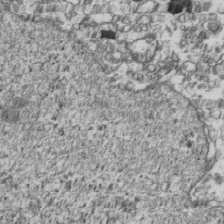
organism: Human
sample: Activated Jurkat CD4+ T cells